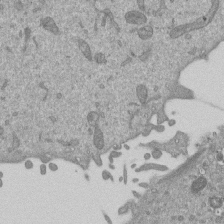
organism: Mouse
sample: ED-1 cell nuclei; centrioles